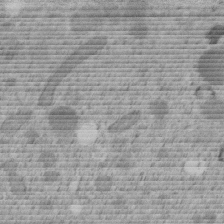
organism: C. elegans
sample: C. elegans embryo early stage